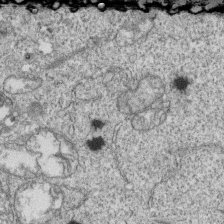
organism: Human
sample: HeLa cell HIV synapse